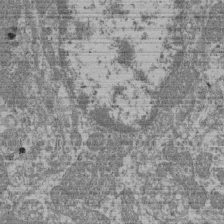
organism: Mouse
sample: Glomerulus